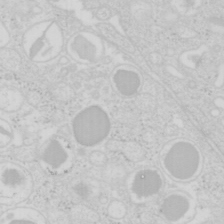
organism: Mouse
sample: Pancreas